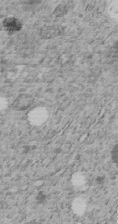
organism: C. elegans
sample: C. elegans embryo early stage